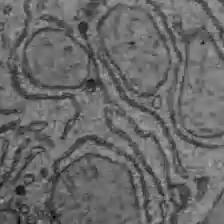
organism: C57BL Mouse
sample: Liver